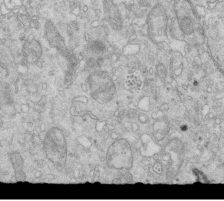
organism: Mouse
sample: Multiciliated cells